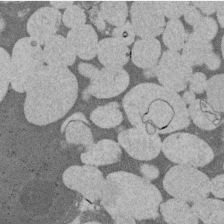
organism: Rat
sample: Salivary granule